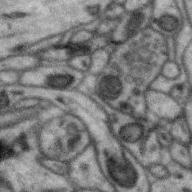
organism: Zebra finch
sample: Brain